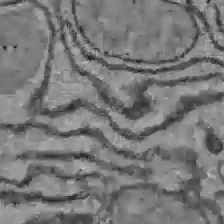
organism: C57BL Mouse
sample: Liver